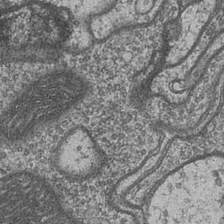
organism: Drosophila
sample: Optic medulla